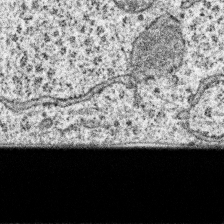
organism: Human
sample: HeLa cells